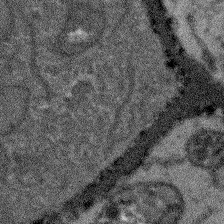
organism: Arabidopsis thaliana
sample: Root tip